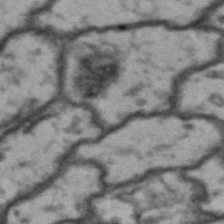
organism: Drosophila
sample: Brain